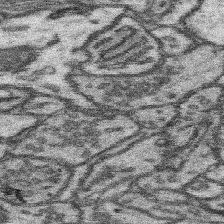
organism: Mouse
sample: Somatosensory cortex neuropil